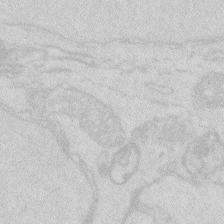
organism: Zebrafish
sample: Macrophage